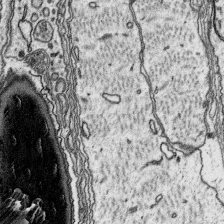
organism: Platynereis dumerilii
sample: Parapodia